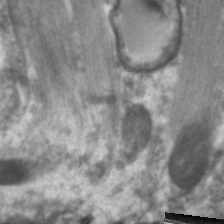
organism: C. elegans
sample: Pharynx